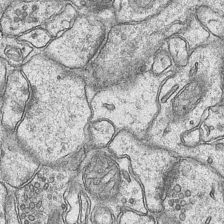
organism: Mouse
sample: CA1 Hippocampus